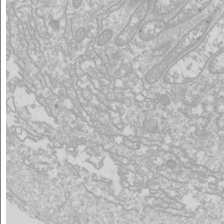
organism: Drosophila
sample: Cell division; meiosis; drosophila spermatocytes